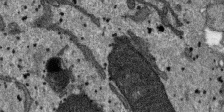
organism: Human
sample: Lung epithelial cells, uninfected (mock) control